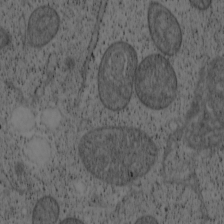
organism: African green monkey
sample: COS-7 cells